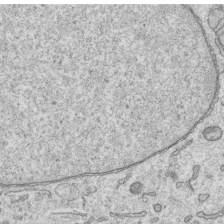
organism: Human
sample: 1205lu cells